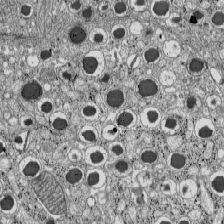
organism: C57BL Mouse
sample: Pancreatic islet